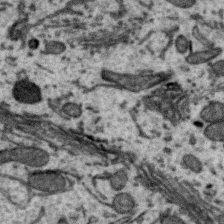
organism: Zebra finch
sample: Brain